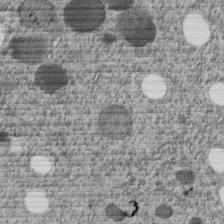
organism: C. elegans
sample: C. elegans embryo early stage